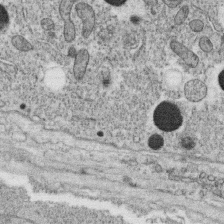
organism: C. elegans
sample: C. elegans oocyte; sperm cells